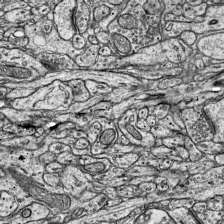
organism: Mouse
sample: Visual Cortex